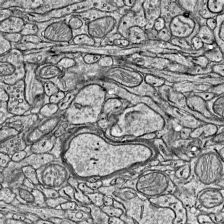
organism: Mouse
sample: Visual Cortex